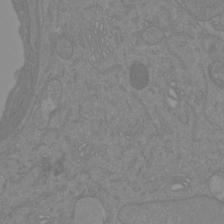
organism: Mouse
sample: Cortical neurons